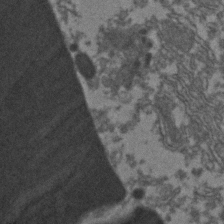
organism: Zebrafish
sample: Zebrafish embryo